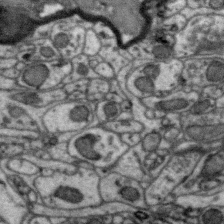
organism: Zebra finch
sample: Brain